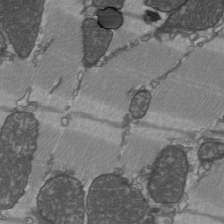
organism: C57BL Mouse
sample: Heart